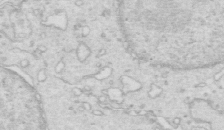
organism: Mouse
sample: Multiciliated cells